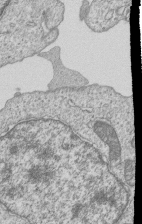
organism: Human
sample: MDA-MB-231 cells